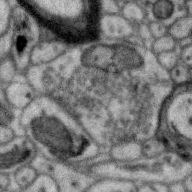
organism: Zebra finch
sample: Brain